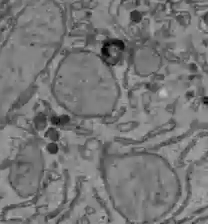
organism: C57BL Mouse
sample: Liver